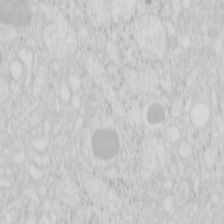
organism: Mouse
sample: Pancreas